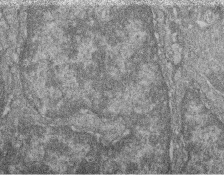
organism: Zebrafish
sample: Cilia; retinal pigment epithelium